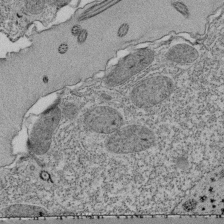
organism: Tetrahymena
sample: Cilia in tetrahymena